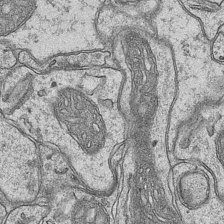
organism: Mouse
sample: CA1 Hippocampus